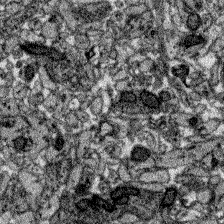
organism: Zebrafish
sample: Larval olfactory bulb